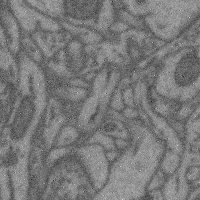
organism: Mouse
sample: Cerebral cortex